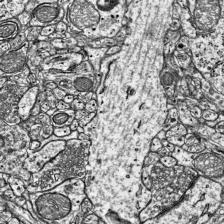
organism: Mouse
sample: Visual Cortex